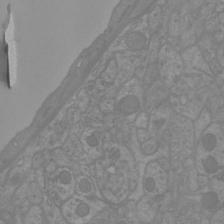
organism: Mouse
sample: Cortical neurons